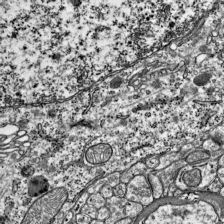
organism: Mouse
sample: Visual Cortex